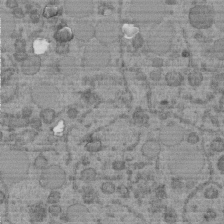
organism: C. elegans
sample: C. elegans embryo early stage